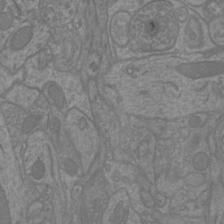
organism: Mouse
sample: Cortical neurons